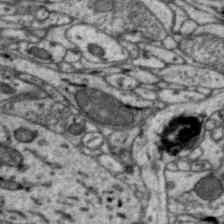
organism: Zebra finch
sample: Brain